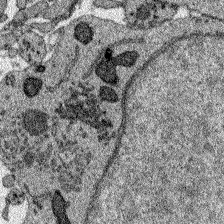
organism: Zebrafish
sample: Larval olfactory bulb